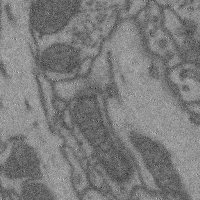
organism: Mouse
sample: Cerebral cortex